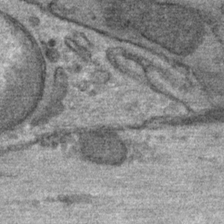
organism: Mouse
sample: Mouse Salivary gland